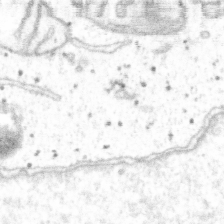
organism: Human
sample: HeLa cells